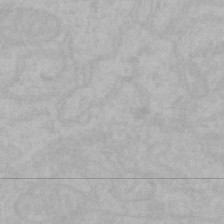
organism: Mouse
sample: Choroid plexus